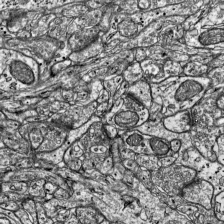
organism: Mouse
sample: Visual Cortex